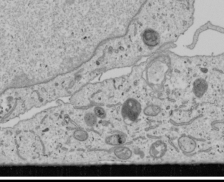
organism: Human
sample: Mitochondria in U2OS cells